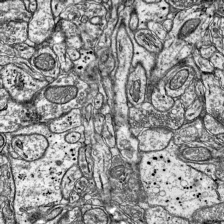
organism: Mouse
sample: Visual Cortex